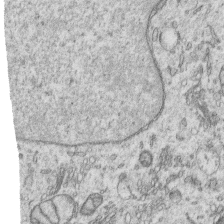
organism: Human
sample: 1205lu cells